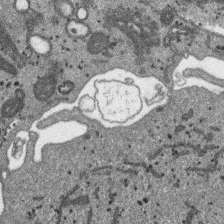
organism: Human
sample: Lung epithelial cells infected with SARS-CoV-2